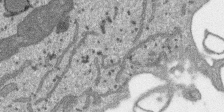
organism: Human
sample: Lung epithelial cells infected with SARS-CoV-2